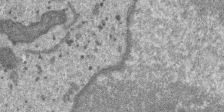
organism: Human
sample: Lung epithelial cells infected with SARS-CoV-2